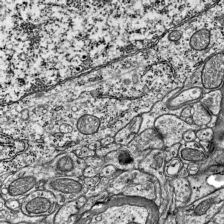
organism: Mouse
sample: Visual Cortex